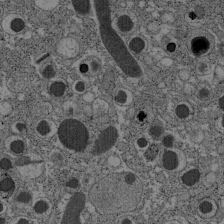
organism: C57BL Mouse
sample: Pancreatic islet